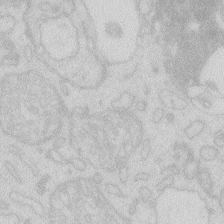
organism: Zebrafish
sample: Macrophage